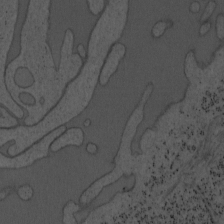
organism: Mouse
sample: OT-I killer T cells with ID8 ovarian cancer cells